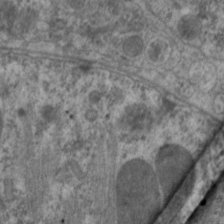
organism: C. elegans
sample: Pharynx